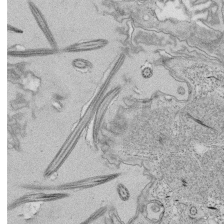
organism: Tetrahymena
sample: Cilia in tetrahymena